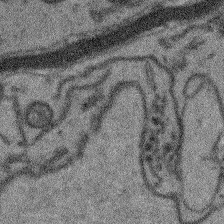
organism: Arabidopsis thaliana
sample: Root tip